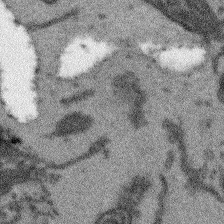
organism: Arabidopsis thaliana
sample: Root tip